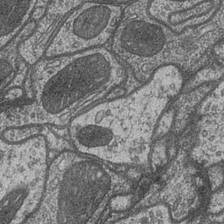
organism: Drosophila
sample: Optic medulla